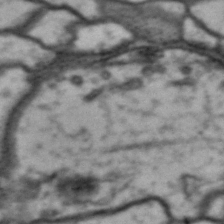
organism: Drosophila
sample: Brain